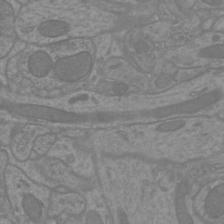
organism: Mouse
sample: Cortical neurons